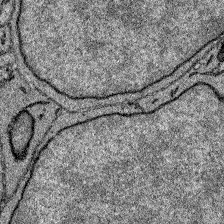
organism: Zebrafish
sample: Larval olfactory bulb